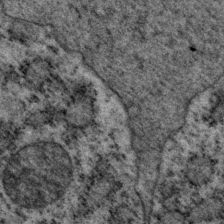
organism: P. pacificus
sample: Pharynx